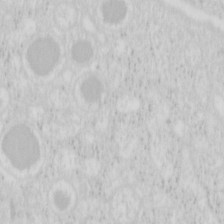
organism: Mouse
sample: Pancreas